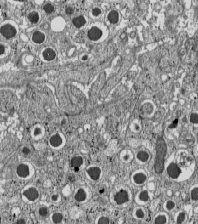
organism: C57BL Mouse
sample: Pancreatic islet